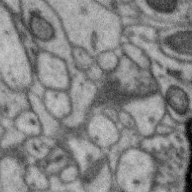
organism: Zebra finch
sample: Brain